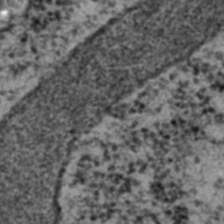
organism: C. elegans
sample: C. elegans embryo